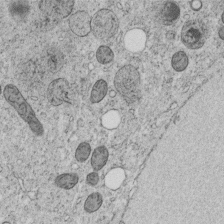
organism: C. elegans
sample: C. elegans embryo early stage